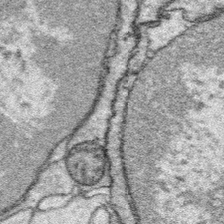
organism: Platynereis dumerilii